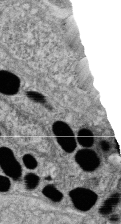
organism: Zebrafish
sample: Cilia; retinal pigment epithelium